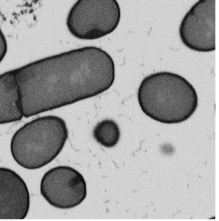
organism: B. subtilis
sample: Bacterial spore